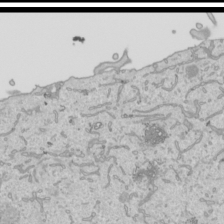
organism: Human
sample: Mitochondria in HCT116 cells